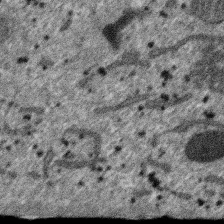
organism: Human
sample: Lung epithelial cells infected with SARS-CoV-2